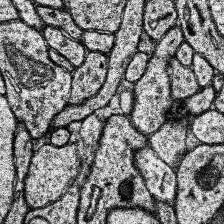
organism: Human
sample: Temporal Lobe